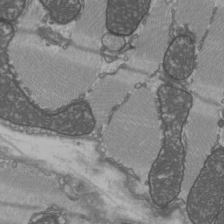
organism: C57BL Mouse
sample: Heart